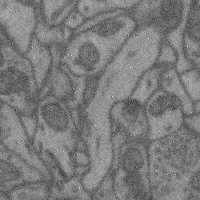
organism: Mouse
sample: Cerebral cortex